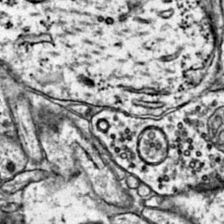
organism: Mouse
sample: Primary visual cortex